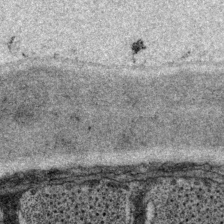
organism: P. pacificus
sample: Pharynx